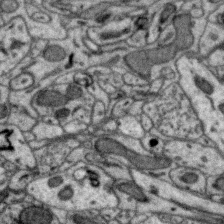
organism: Zebra finch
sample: Brain